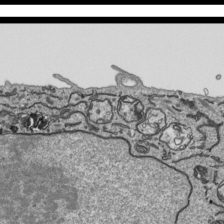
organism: Human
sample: Mitochondria in HCT116 cells